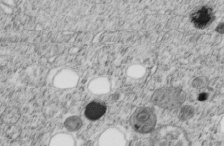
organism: C. elegans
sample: C. elegans embryo early stage